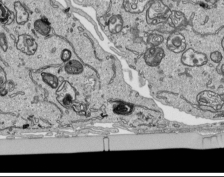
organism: Human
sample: Mitochondria in HCT116 cells